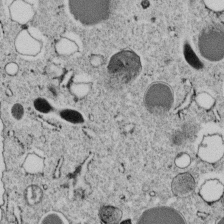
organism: C. elegans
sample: C. elegans embryo early stage